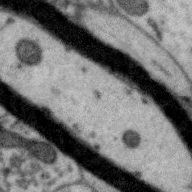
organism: Zebra finch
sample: Brain